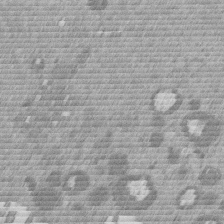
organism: Mouse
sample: Dividing mouse embryo 1 cell stage